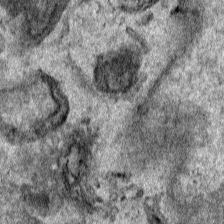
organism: Human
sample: Mitochondria in HCT116 cells